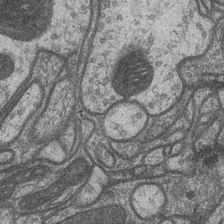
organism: Drosophila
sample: Optic medulla